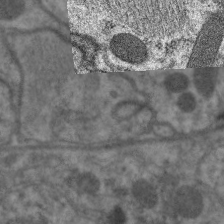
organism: C. elegans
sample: Pharynx